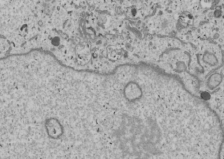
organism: Human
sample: Mitochondria in U2OS cells